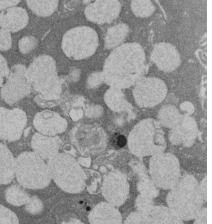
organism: Rat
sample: Salivary granule